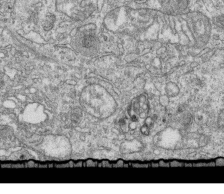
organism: Human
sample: HeLa cell HIV synapse